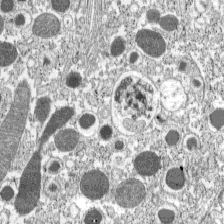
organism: C57BL Mouse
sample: Pancreatic islet